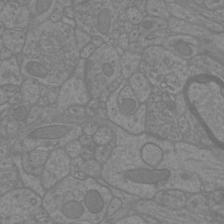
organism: Mouse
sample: Cortical neurons